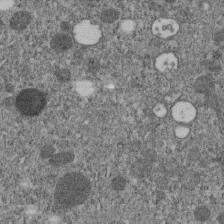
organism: C. elegans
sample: C. elegans embryo early stage